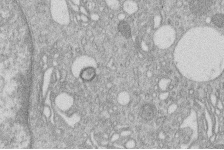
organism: Human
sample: Macrophage cells